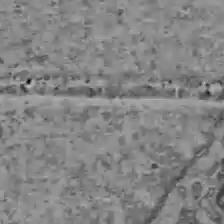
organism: C57BL Mouse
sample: Liver